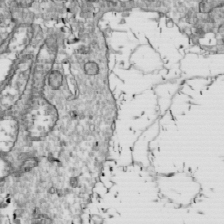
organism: Drosophila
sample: Cell division; meiosis; drosophila spermatocytes